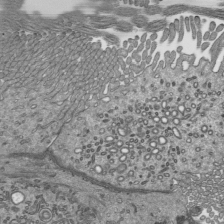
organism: Mouse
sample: Mouse epididymis efferent ductule cilia